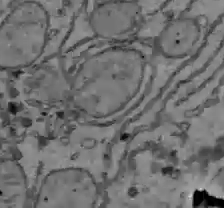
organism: C57BL Mouse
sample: Liver